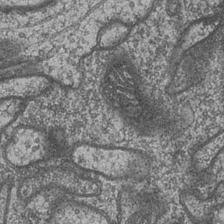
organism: Drosophila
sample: Optic medulla